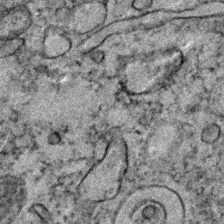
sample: Trachea